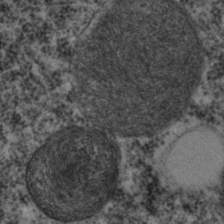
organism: C. elegans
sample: C. elegans embryo